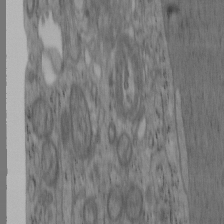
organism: Human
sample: HeLa cells